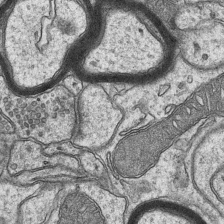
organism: Mouse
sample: CA1 Hippocampus